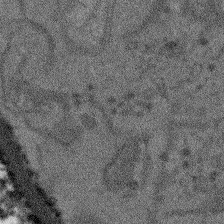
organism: Arabidopsis thaliana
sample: Root tip